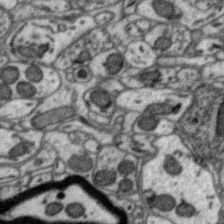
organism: Zebra finch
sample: Brain